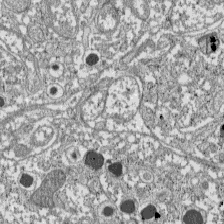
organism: C57BL Mouse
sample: Pancreatic islet